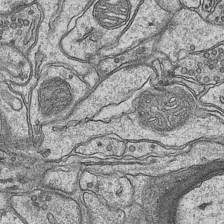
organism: Mouse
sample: CA1 Hippocampus